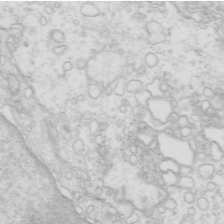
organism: Mouse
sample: Multiciliated cells